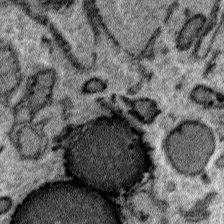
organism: Plasmodium falciparum